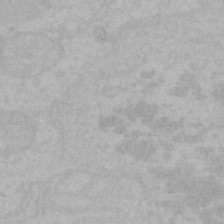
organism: Mouse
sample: Choroid plexus